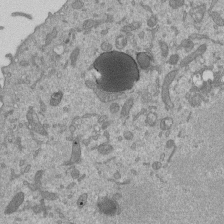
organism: Mouse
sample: ED-1 cell nuclei; centrioles